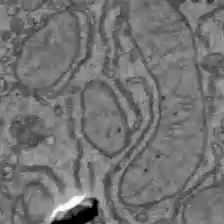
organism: C57BL Mouse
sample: Liver